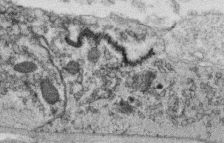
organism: C. elegans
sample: C. elegans oocyte; sperm cells